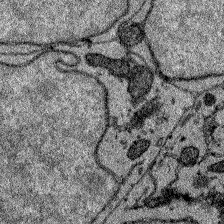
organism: Zebrafish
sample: Larval olfactory bulb